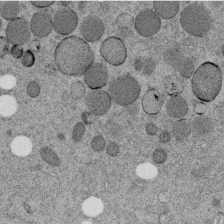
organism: C. elegans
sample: C. elegans embryo early stage